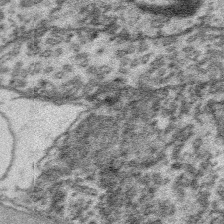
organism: Platynereis dumerilii